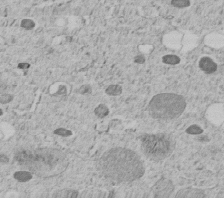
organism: C. elegans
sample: C. elegans embryo early stage